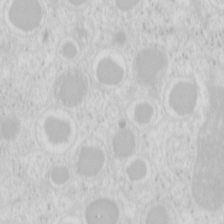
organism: Mouse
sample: Pancreas